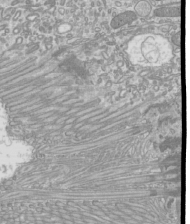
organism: Mouse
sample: Cilia; mouse epididymis